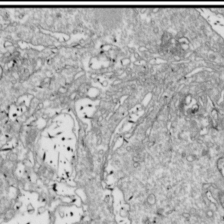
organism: Drosophila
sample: Cell division; meiosis; drosophila spermatocytes